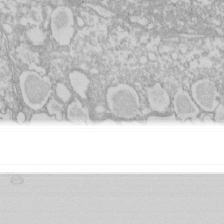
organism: Xenopus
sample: Cilia; centrioles in frog embryo cells